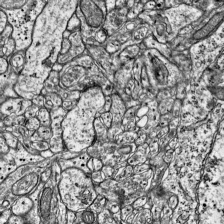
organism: Mouse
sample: Visual Cortex